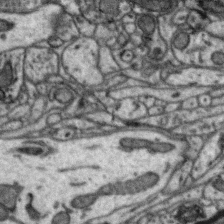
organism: Zebra finch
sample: Brain